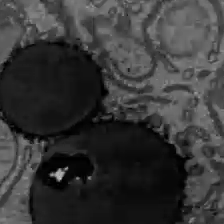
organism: C57BL Mouse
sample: Liver